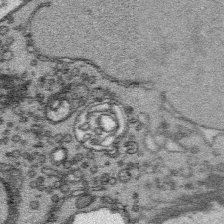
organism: Platynereis dumerilii